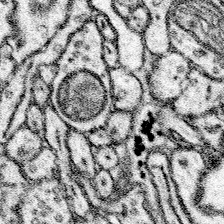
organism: Mouse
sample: Somatosensory cortex neuropil